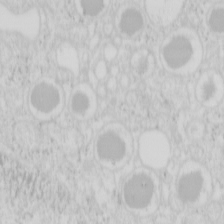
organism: Mouse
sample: Pancreas